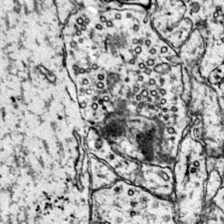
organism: Mouse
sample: Primary visual cortex